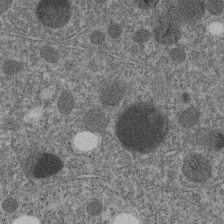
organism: C. elegans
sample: C. elegans embryo early stage